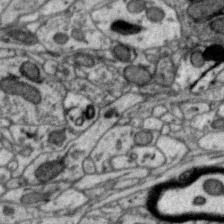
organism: Zebra finch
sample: Brain